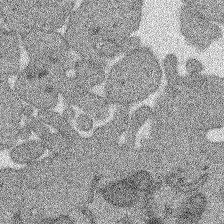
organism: Human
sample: HeLa cells